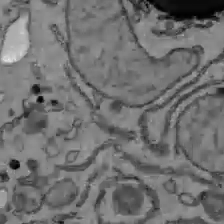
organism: C57BL Mouse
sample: Liver